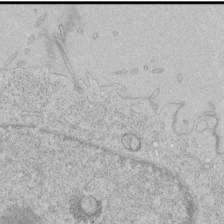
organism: Human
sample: Mitochondria in HCT116 cells